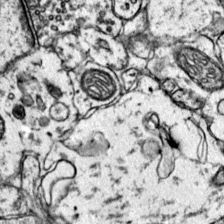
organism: Mouse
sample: Primary visual cortex